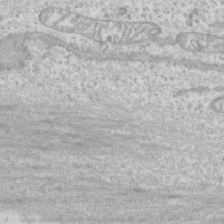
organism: Human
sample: CRL-1474